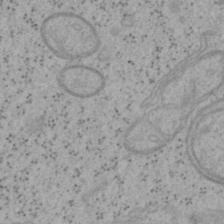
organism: Human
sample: HeLa cells